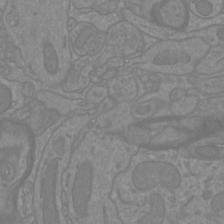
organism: Mouse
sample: Cortical neurons